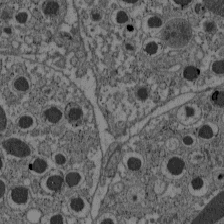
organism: C57BL Mouse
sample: Pancreatic islet